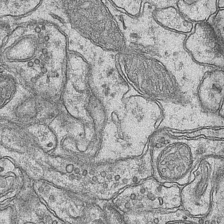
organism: Mouse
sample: CA1 Hippocampus